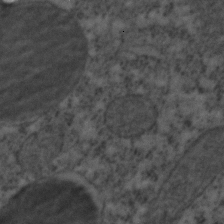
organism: C. elegans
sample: C. elegans embryo